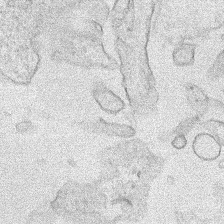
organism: Human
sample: Mitochondria in HCT116 cells